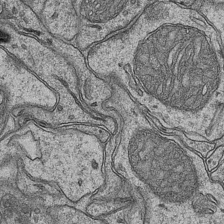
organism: Mouse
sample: CA1 Hippocampus